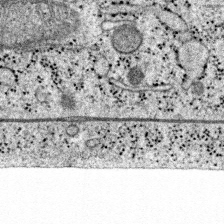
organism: Human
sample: HeLa cells